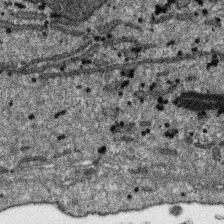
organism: Human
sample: Lung epithelial cells infected with SARS-CoV-2